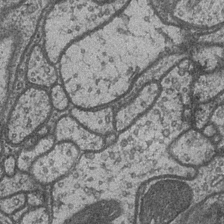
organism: Drosophila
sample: Optic medulla